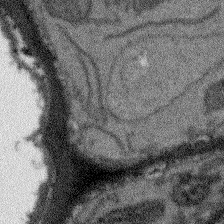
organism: Arabidopsis thaliana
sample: Root tip